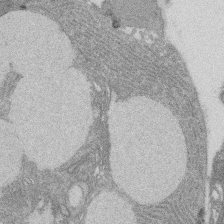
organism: Rat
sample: Salivary granule